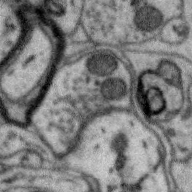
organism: Zebra finch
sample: Brain